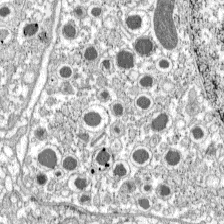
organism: C57BL Mouse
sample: Pancreatic islet